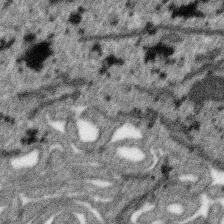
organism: Human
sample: Lung epithelial cells infected with SARS-CoV-2